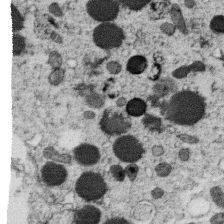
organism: C. elegans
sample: C. elegans oocyte; sperm cells